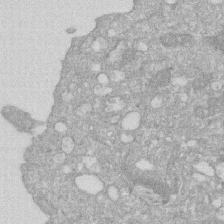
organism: Human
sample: HIV infected U937 cells